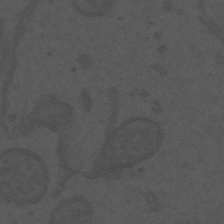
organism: Mouse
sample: Suprachiasmatic nucleus